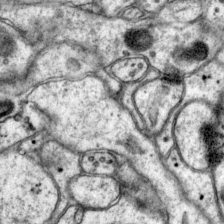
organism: Mouse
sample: Primary visual cortex